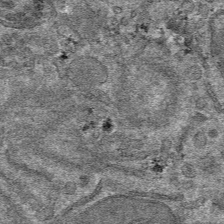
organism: Mouse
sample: Mouse hepatocytes